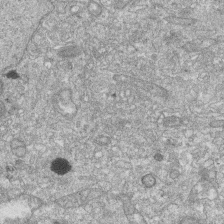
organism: Human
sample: HeLa cell HIV synapse